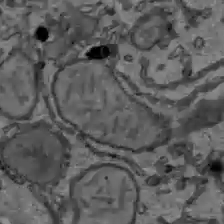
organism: C57BL Mouse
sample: Liver